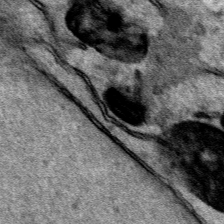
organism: Human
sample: Mitochondria in HCT116 cells